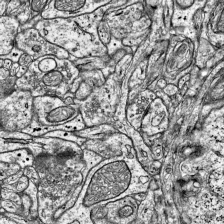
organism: Mouse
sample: Visual Cortex